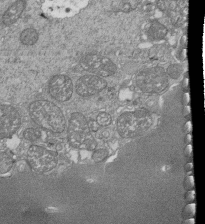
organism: Tetrahymena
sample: Cilia in tetrahymena